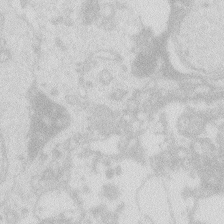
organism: Zebrafish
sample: Macrophage